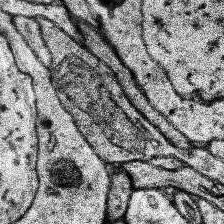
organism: Human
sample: Temporal Lobe